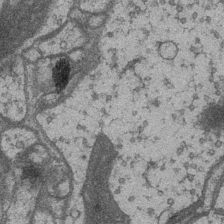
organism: Drosophila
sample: Optic medulla